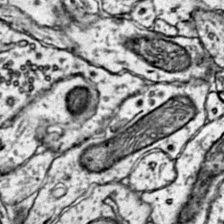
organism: Mouse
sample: Primary visual cortex